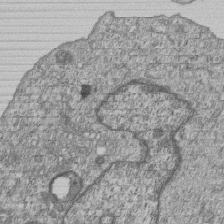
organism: Human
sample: MDA-MB-231 cells